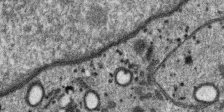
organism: Human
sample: Lung epithelial cells infected with SARS-CoV-2